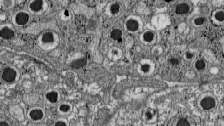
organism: C57BL Mouse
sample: Pancreatic islet